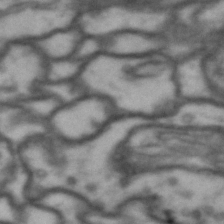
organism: Drosophila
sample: Brain